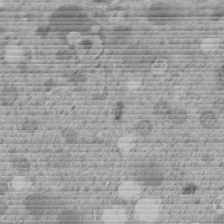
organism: C. elegans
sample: C. elegans embryo early stage